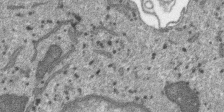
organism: Human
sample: Lung epithelial cells infected with SARS-CoV-2